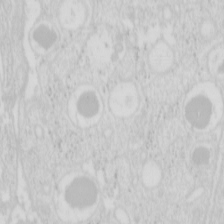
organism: Mouse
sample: Pancreas